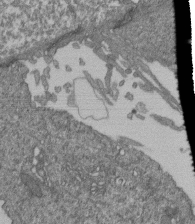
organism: Human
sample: Retinal organoid Rod and Cone cells